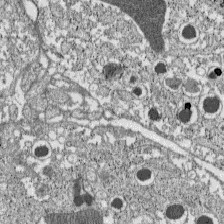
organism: C57BL Mouse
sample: Pancreatic islet